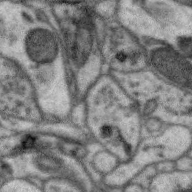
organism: Zebra finch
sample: Brain